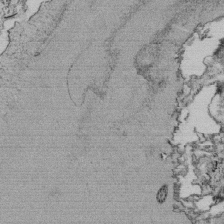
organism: Tetrahymena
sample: Cilia in tetrahymena